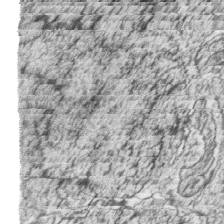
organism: Zebrafish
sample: synaptic ribbons in rod cells and cone cells